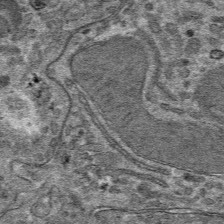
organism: Mouse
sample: Mouse hepatocytes